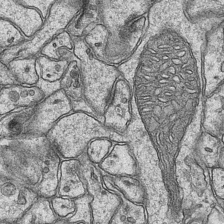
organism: Mouse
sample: CA1 Hippocampus